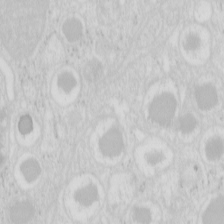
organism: Mouse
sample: Pancreas